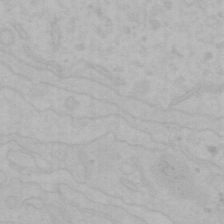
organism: Mouse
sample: Choroid plexus